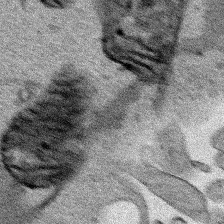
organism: Human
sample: Mitochondria in HCT116 cells